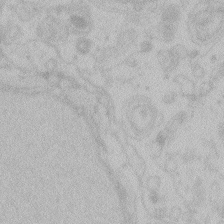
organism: Zebrafish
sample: Macrophage infected with Toxoplasma gondii